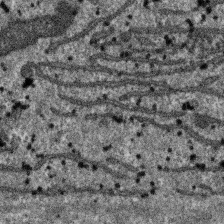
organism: Human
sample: Lung epithelial cells infected with SARS-CoV-2